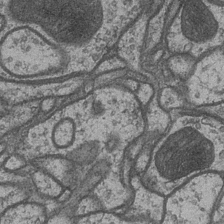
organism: Drosophila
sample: Optic medulla